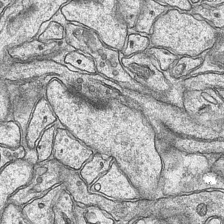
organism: Mouse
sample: CA1 Hippocampus